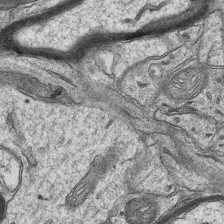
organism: Mouse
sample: CA1 Hippocampus